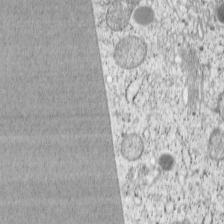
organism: African green monkey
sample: COS-7 cells